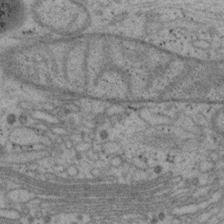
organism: Human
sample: HeLa cells